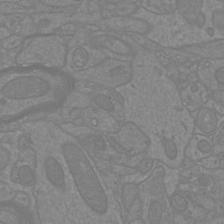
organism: Mouse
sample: Cortical neurons